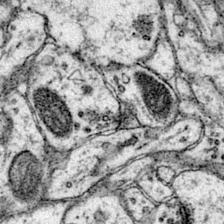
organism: Mouse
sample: Primary visual cortex